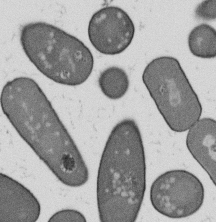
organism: B. subtilis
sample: Bacterial spore